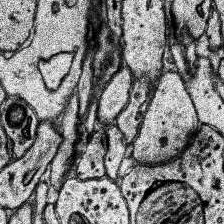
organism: Human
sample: Temporal Lobe